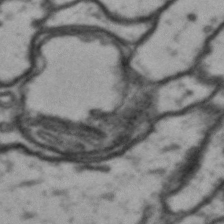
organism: Drosophila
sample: Brain